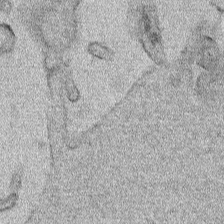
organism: Human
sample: Mitochondria in HCT116 cells